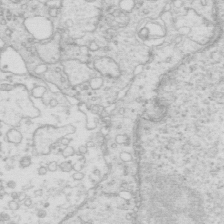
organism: Mouse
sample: Multiciliated cells